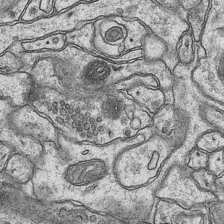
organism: Mouse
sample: CA1 Hippocampus